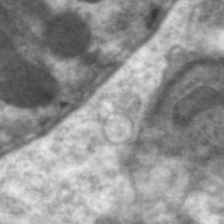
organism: C. elegans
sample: Pharynx